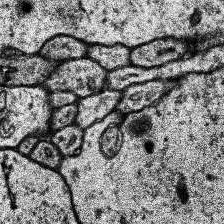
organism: Human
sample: Temporal Lobe